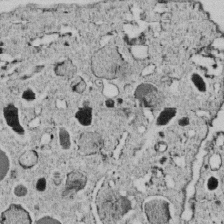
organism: C. elegans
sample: C. elegans embryo early stage